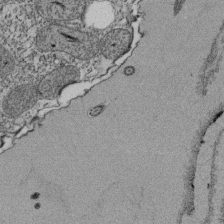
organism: Tetrahymena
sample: Cilia in tetrahymena